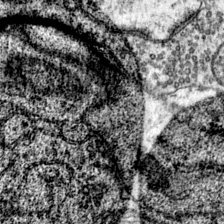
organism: Mouse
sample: Primary visual cortex